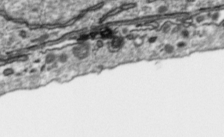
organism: Toxoplasma gondii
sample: Parasites in a vacuole inside a host cell